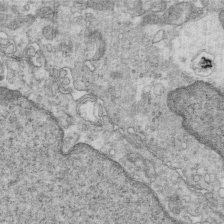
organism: Mouse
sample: Multiciliated cells